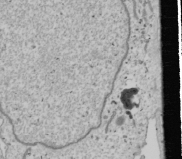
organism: Human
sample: Mitochondria in U2OS cells